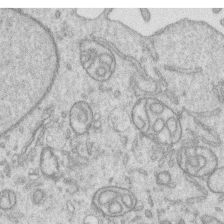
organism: Human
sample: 1205lu cells